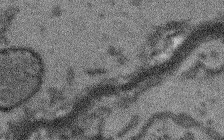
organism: Arabidopsis thaliana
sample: Root tip